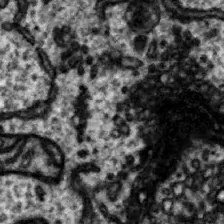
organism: Human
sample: HeLa cells